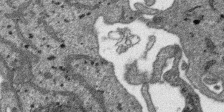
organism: Human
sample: Lung epithelial cells infected with SARS-CoV-2